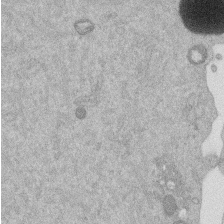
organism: Mouse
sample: Dividing mouse embryo 1 cell stage